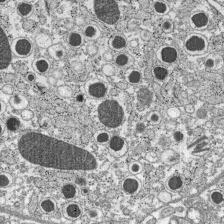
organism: C57BL Mouse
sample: Pancreatic islet